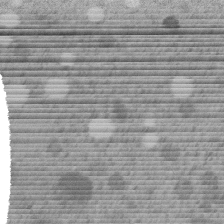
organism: C. elegans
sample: C. elegans embryo early stage